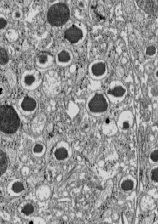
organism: C57BL Mouse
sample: Pancreatic islet